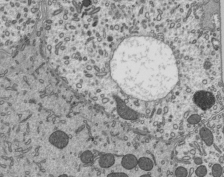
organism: Mouse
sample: Mouse epididymis efferent ductule cilia